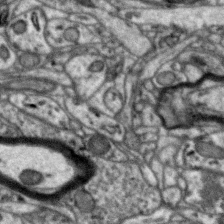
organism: Zebra finch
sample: Brain